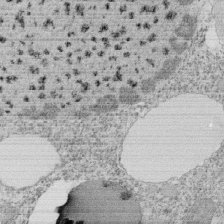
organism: Tetrahymena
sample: Cilia in tetrahymena